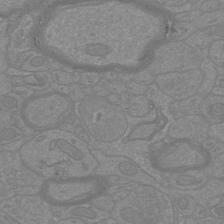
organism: Mouse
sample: Cortical neurons